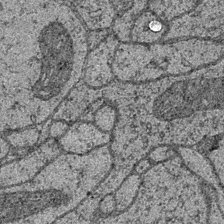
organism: Drosophila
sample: Optic medulla